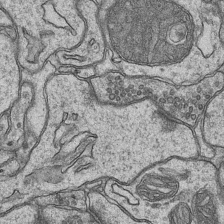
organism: Mouse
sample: CA1 Hippocampus